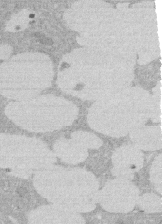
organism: Rat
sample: Salivary granule